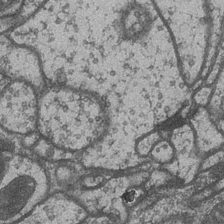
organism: Drosophila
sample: Optic medulla